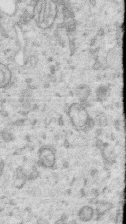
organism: Human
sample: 1205lu cells